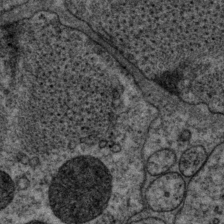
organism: P. pacificus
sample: Pharynx